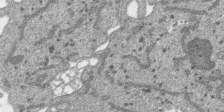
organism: Human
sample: Lung epithelial cells infected with SARS-CoV-2